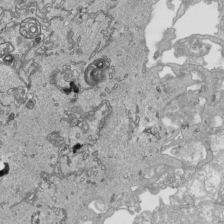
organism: Human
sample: Mitochondria in HCT116 cells